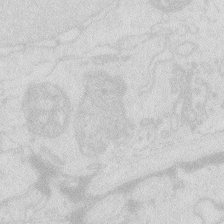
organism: Zebrafish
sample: Macrophage